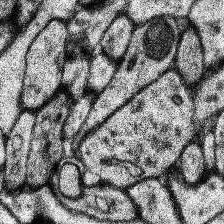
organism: Human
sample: Temporal Lobe